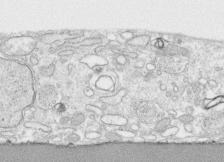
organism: Human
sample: CRL-1474